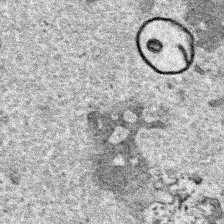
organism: Human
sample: Mitochondria in HCT116 cells